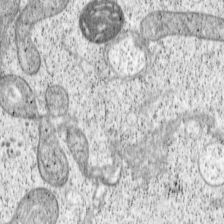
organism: African green monkey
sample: COS-7 cells